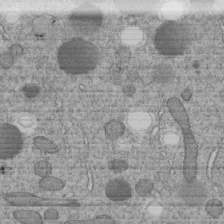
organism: C. elegans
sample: C. elegans embryo early stage